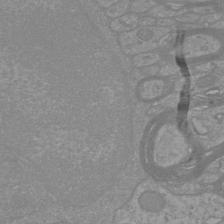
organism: Mouse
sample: Cortical neurons